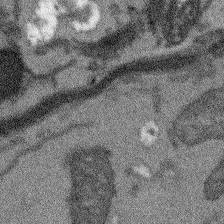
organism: Arabidopsis thaliana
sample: Root tip